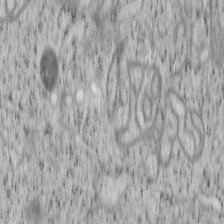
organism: Human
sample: HeLa cells